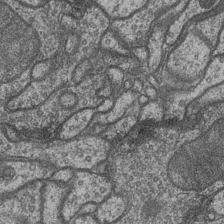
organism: Drosophila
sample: Optic medulla